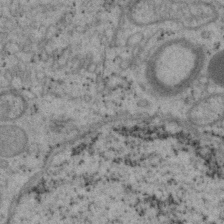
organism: Human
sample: HeLa cells